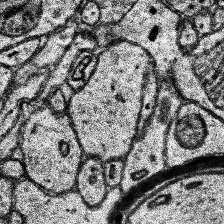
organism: Human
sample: Temporal Lobe